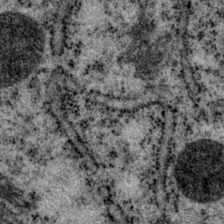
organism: P. pacificus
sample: Pharynx